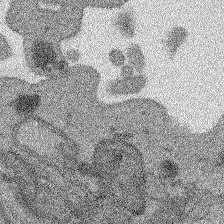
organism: Human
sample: HeLa cells